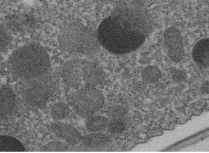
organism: C. elegans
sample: C. elegans embryo early stage